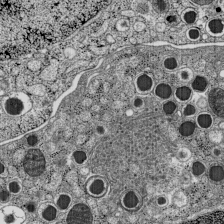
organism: C57BL Mouse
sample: Pancreatic islet